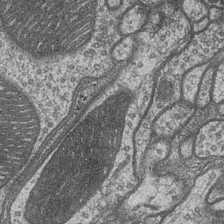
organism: Drosophila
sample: Optic medulla